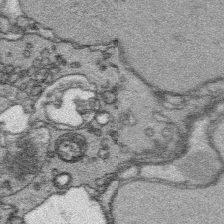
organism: Platynereis dumerilii